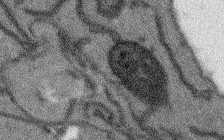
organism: Arabidopsis thaliana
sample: Root tip